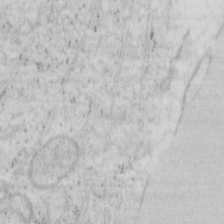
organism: Human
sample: HeLa cells